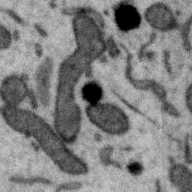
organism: Zebra finch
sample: Brain